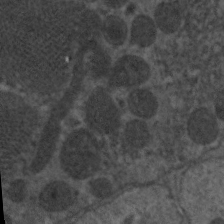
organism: C. elegans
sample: Pharynx